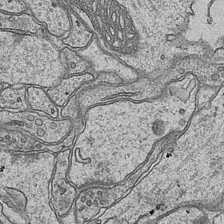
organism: Mouse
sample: CA1 Hippocampus